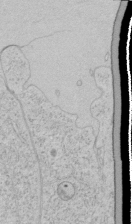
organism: Human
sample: Mitochondria in HCT116 cells